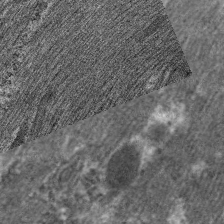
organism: C. elegans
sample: Pharynx